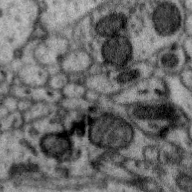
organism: Zebra finch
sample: Brain